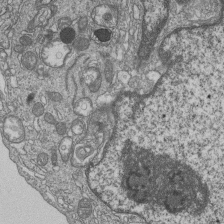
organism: Human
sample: MDA-MB-231 cells